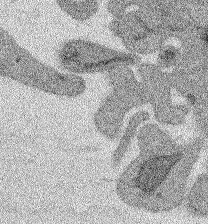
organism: Human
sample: HeLa cells